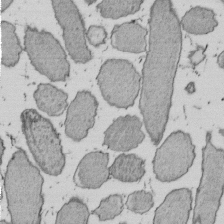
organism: E. coli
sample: Bacterial nucleoid